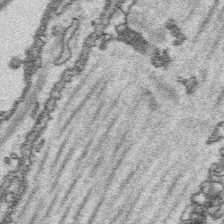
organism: Platynereis dumerilii